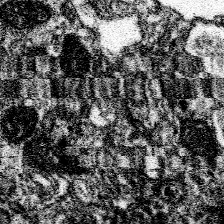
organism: Spongilla lacustris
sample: Neuroid cell